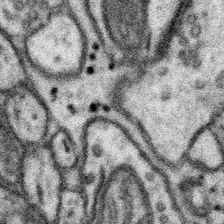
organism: Mouse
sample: Somatosensory cortex neuropil